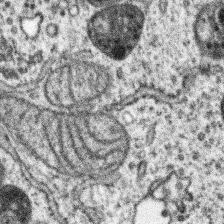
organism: Human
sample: HeLa cells